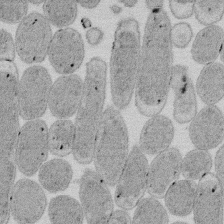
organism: E. coli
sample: Bacterial nucleoid